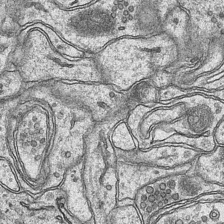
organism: Mouse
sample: CA1 Hippocampus